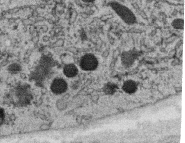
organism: C. elegans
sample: C. elegans oocyte; sperm cells